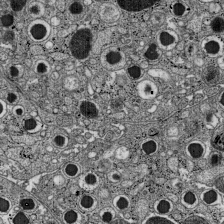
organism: C57BL Mouse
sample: Pancreatic islet